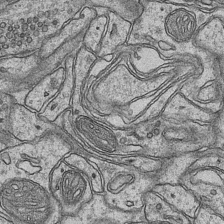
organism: Mouse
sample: CA1 Hippocampus